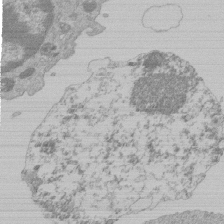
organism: Mouse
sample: Activated Pmel transgenic CD8+ T Cells